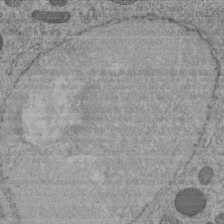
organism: C. elegans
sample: C. elegans embryo early stage